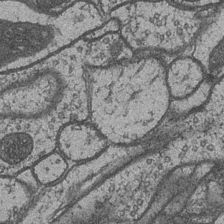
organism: Drosophila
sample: Optic medulla